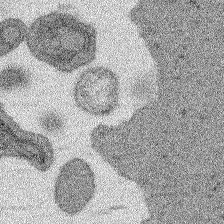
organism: Human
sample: HeLa cells